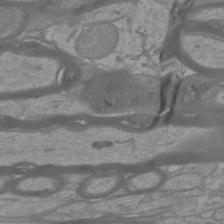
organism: Mouse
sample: Cortical neurons